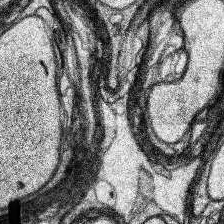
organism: Human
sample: Temporal Lobe